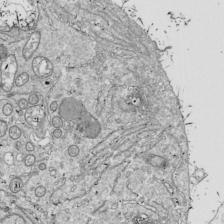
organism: Drosophila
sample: Cell division; meiosis; drosophila spermatocytes